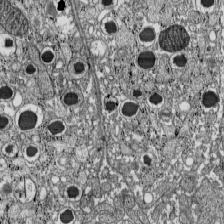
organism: C57BL Mouse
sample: Pancreatic islet